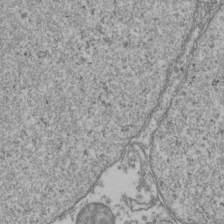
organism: Human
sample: Activated Jurkat CD4+ T cells